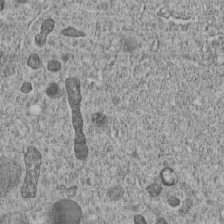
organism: C. elegans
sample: C. elegans embryo early stage